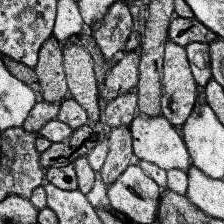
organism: Human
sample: Temporal Lobe